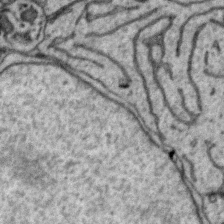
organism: Zebra finch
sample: Brain